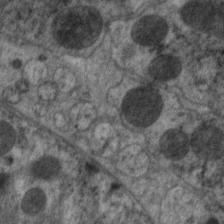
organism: C. elegans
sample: Pharynx